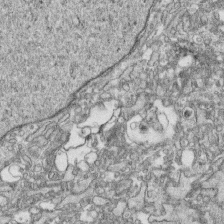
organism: Human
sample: CRL-1474